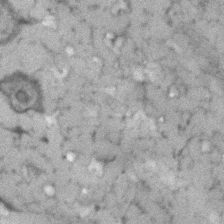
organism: Human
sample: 1205lu cells